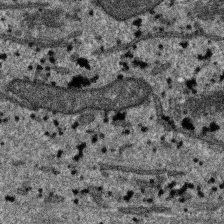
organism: Human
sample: Lung epithelial cells infected with SARS-CoV-2